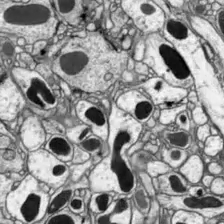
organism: Drosophila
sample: Optic lobe